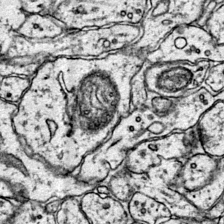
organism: Mouse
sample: Primary visual cortex